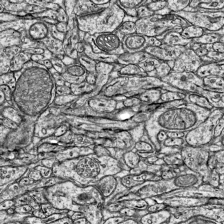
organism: Mouse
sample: Visual Cortex